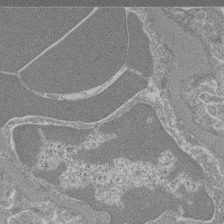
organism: Mouse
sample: Glomerulus